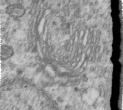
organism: Human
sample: Centriole in RPE cells